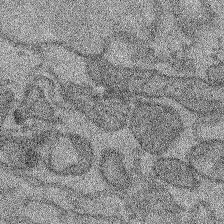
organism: Human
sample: HeLa cells